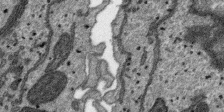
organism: Human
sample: Lung epithelial cells, uninfected (mock) control